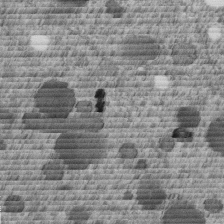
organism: C. elegans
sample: C. elegans embryo early stage